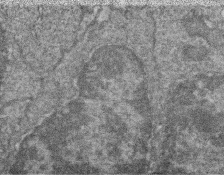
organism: Zebrafish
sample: Cilia; retinal pigment epithelium